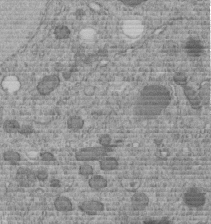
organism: C. elegans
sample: C. elegans embryo early stage